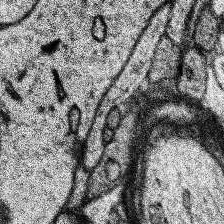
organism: Human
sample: Temporal Lobe